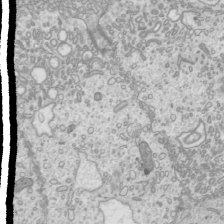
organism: Mouse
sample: Cilia; mouse epididymis